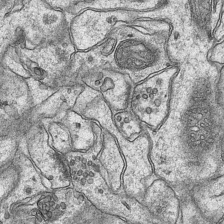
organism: Mouse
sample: CA1 Hippocampus